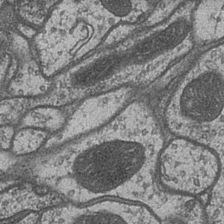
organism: Drosophila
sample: Optic medulla